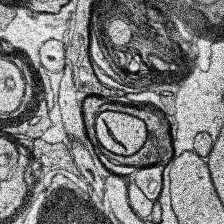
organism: Human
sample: Temporal Lobe